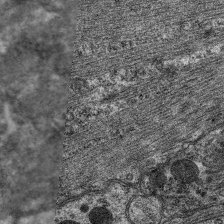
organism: C. elegans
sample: Pharynx